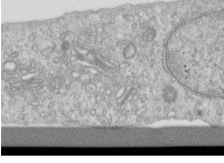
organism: Human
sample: Centriole in RPE cells